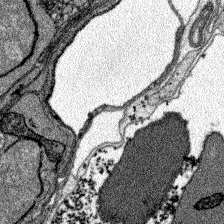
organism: Zebrafish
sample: Larval olfactory bulb